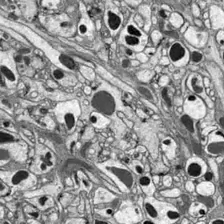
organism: Drosophila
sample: Optic lobe